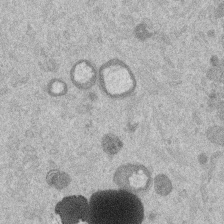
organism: Mouse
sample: Dividing mouse embryo 1 cell stage